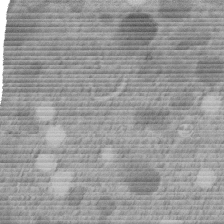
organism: C. elegans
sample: C. elegans embryo early stage